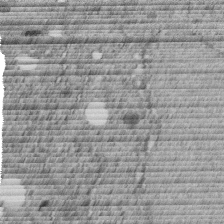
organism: C. elegans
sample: C. elegans embryo early stage